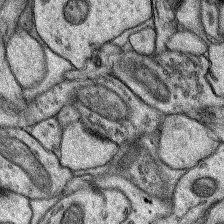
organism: Rat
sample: Hippocampus